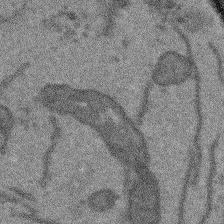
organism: Arabidopsis thaliana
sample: Root tip